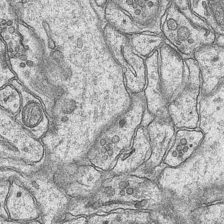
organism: Mouse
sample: CA1 Hippocampus